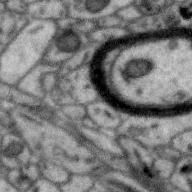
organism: Zebra finch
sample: Brain